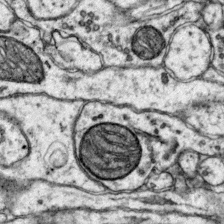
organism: Mouse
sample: Primary visual cortex